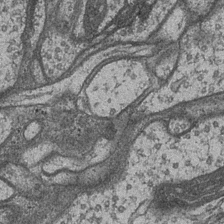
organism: Drosophila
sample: Optic medulla